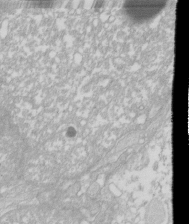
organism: Xenopus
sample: Cilia; centrioles in frog embryo cells